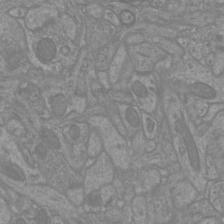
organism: Mouse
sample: Cortical neurons